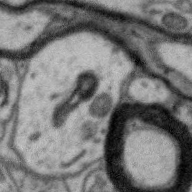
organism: Zebra finch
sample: Brain